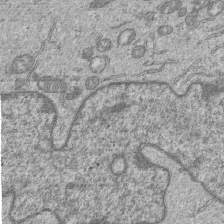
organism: Human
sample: MDA-MB-231 cells